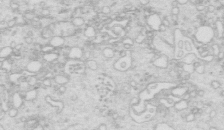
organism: Mouse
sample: Multiciliated cells